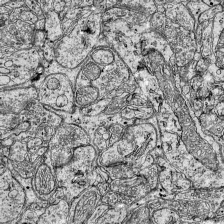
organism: Mouse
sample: Visual Cortex